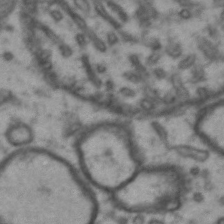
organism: Drosophila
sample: Brain